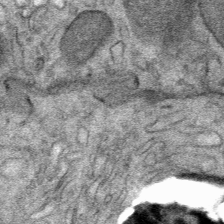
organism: Mouse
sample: Mouse Salivary gland